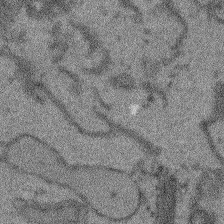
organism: Arabidopsis thaliana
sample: Root tip